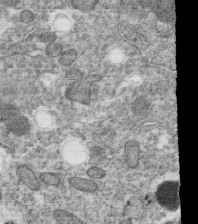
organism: C. elegans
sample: C. elegans oocyte; sperm cells